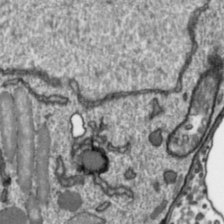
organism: Toxoplasma gondii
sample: Parasites in a vacuole inside a host cell